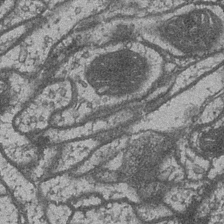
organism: Drosophila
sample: Optic medulla